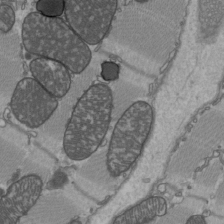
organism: C57BL Mouse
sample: Heart